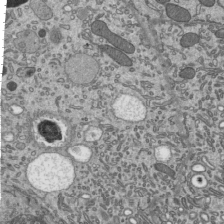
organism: Mouse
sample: Mouse epididymis efferent ductule cilia